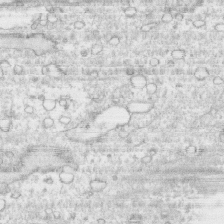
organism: Human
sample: CRL-1474